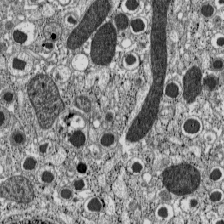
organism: C57BL Mouse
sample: Pancreatic islet